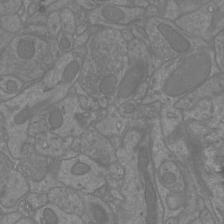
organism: Mouse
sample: Cortical neurons